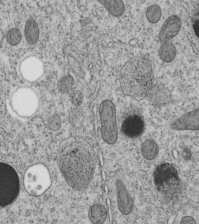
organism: C. elegans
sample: C. elegans embryo early stage